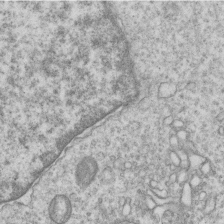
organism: Human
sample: MDA-MB-231 cells